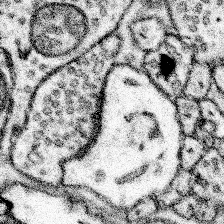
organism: Mouse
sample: Somatosensory cortex neuropil